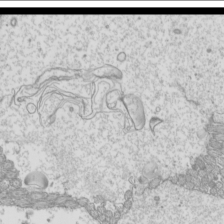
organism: Mouse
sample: Cilia; mouse epididymis